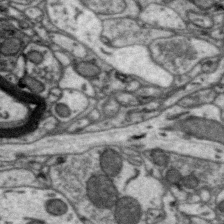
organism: Zebra finch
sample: Brain